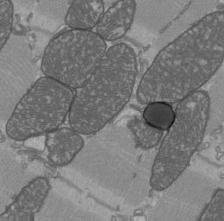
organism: C57BL Mouse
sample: Heart